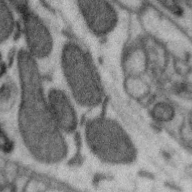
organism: Zebra finch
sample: Brain